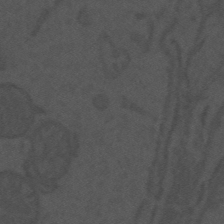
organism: Mouse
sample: Suprachiasmatic nucleus